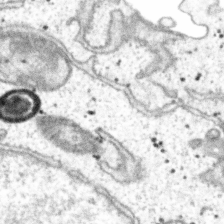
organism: Human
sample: HeLa cells